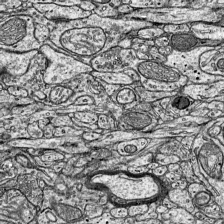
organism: Mouse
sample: Visual Cortex